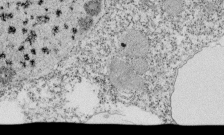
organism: Tetrahymena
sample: Cilia in tetrahymena